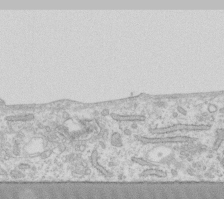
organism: Human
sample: Fibroblast cells